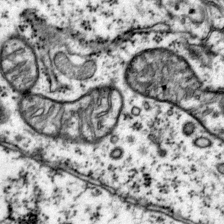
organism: Mouse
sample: Primary visual cortex